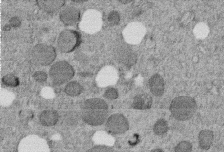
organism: C. elegans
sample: C. elegans embryo early stage